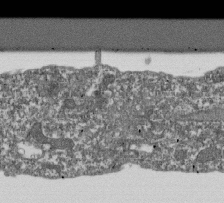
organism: Dictyostelium discoideum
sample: Dictyostelium multivesicular bodies